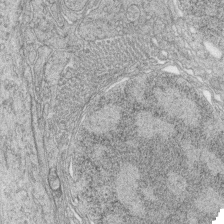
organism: Zebrafish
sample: synaptic ribbons in rod cells and cone cells